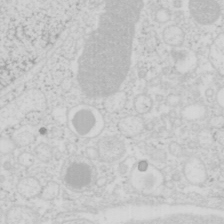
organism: Mouse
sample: Pancreas